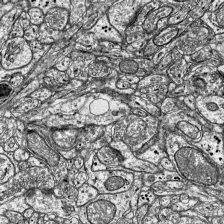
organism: Mouse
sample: Visual Cortex